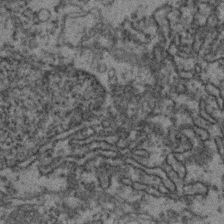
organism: Zebrafish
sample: Zebrafish embryo